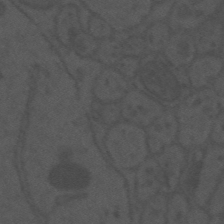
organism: Mouse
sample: Suprachiasmatic nucleus